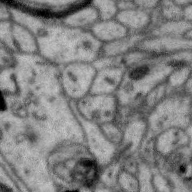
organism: Zebra finch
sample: Brain